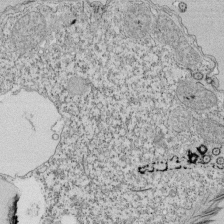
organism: Tetrahymena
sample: Cilia in tetrahymena